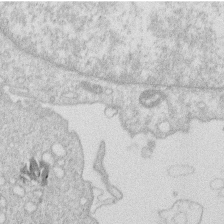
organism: Human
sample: Macrophage cells